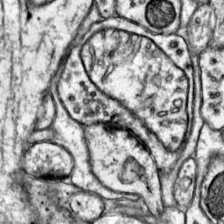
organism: Mouse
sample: Primary visual cortex